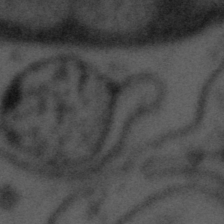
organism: Tuwongella immobilis